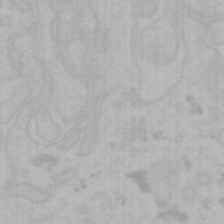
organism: Mouse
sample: Choroid plexus